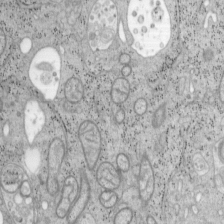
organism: Mouse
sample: OT-I killer T cells with ID8 ovarian cancer cells